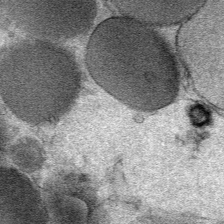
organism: Mouse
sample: Mouse Salivary gland